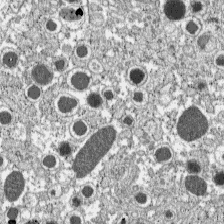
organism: C57BL Mouse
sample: Pancreatic islet